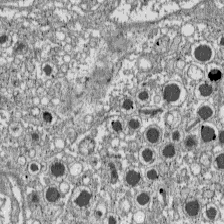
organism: C57BL Mouse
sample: Pancreatic islet